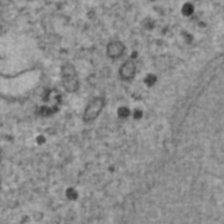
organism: Human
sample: Blood